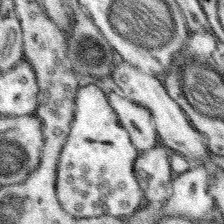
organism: Mouse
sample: Somatosensory cortex neuropil